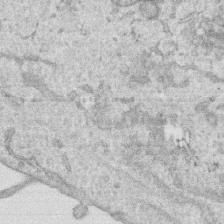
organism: Human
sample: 1205lu cells